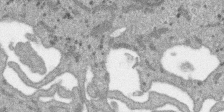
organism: Human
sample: Lung epithelial cells infected with SARS-CoV-2